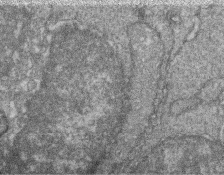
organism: Zebrafish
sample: Cilia; retinal pigment epithelium